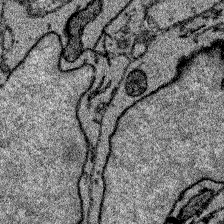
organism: Zebrafish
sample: Larval olfactory bulb